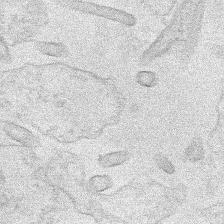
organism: Human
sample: Mitochondria in HCT116 cells